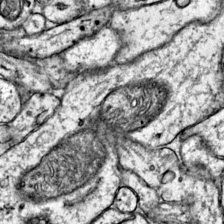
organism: Mouse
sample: Primary visual cortex